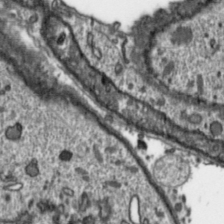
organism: Toxoplasma gondii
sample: Parasites in a vacuole inside a host cell